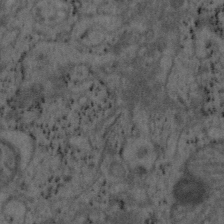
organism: Human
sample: HeLa cells